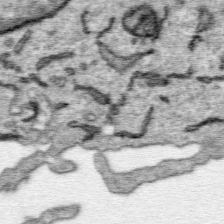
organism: Human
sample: HeLa cells